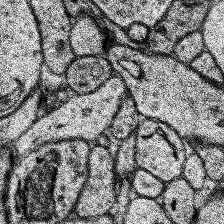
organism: Human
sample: Temporal Lobe